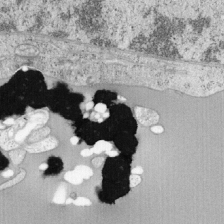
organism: Human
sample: HeLa cells